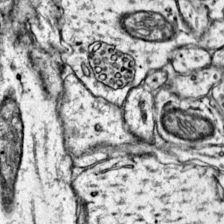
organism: Mouse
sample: Primary visual cortex